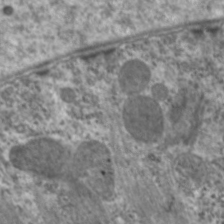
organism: C. elegans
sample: Pharynx